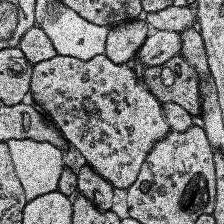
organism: Human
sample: Temporal Lobe